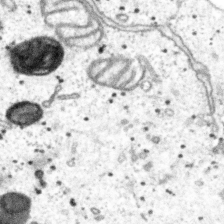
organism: Human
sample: HeLa cells